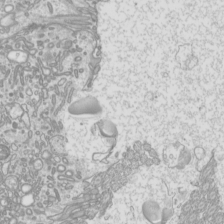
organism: Mouse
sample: Cilia; mouse epididymis